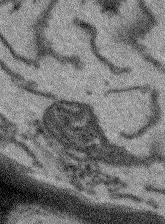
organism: Arabidopsis thaliana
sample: Root tip